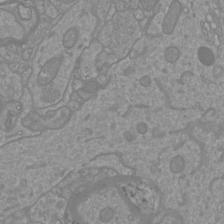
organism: Mouse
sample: Cortical neurons